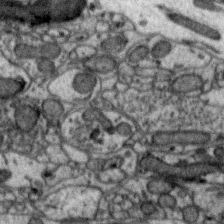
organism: Zebra finch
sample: Brain